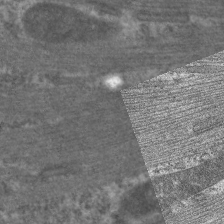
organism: C. elegans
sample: Pharynx